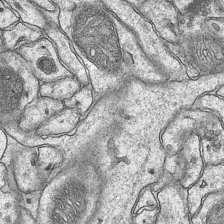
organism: Mouse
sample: CA1 Hippocampus